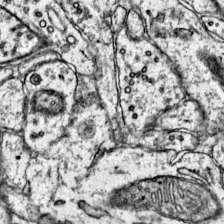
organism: Mouse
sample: Primary visual cortex